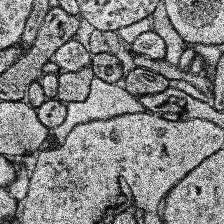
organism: Human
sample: Temporal Lobe